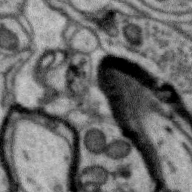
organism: Zebra finch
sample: Brain